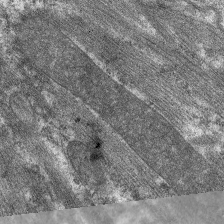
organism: C. elegans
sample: Pharynx